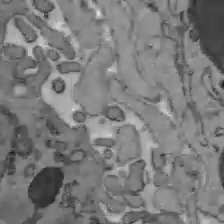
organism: C57BL Mouse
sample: Liver